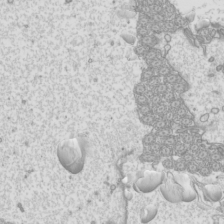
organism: Mouse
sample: Cilia; mouse epididymis